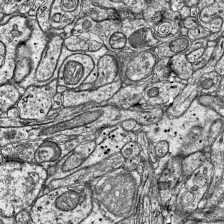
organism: Mouse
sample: Visual Cortex